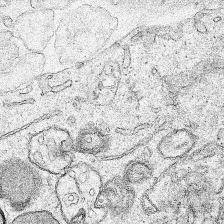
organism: Human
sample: Mitochondria in HCT116 cells